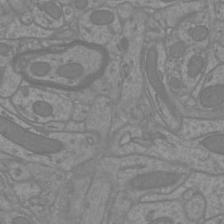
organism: Mouse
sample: Cortical neurons